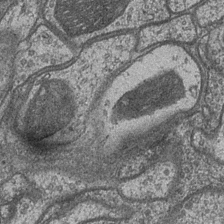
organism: Drosophila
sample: Optic medulla